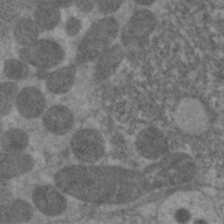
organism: C. elegans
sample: Pharynx